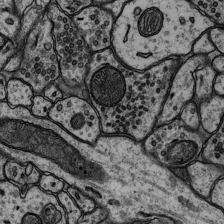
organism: Rat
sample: Hippocampus